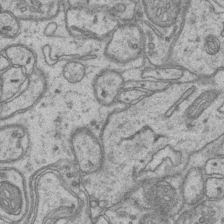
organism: Mouse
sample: CA1 Hippocampus